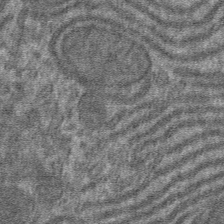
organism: Mouse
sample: Mouse hepatocytes